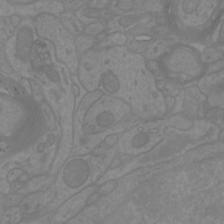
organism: Mouse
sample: Cortical neurons